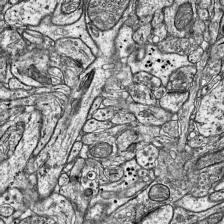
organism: Mouse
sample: Visual Cortex